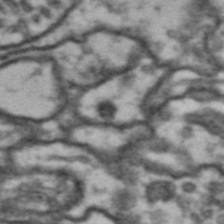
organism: Drosophila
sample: Brain